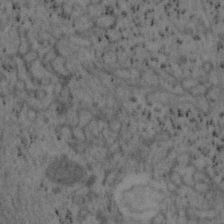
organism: Human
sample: HeLa cells